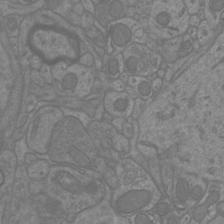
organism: Mouse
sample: Cortical neurons